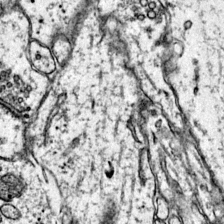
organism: Mouse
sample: Primary visual cortex